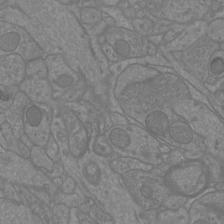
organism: Mouse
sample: Cortical neurons